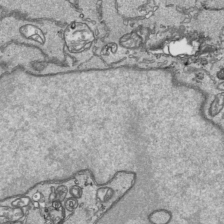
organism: Human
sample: Mitochondria in HCT116 cells